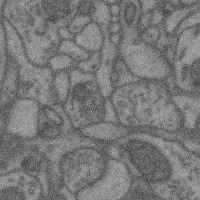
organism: Mouse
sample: Cerebral cortex